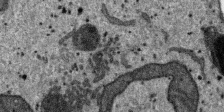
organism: Human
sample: Lung epithelial cells, uninfected (mock) control